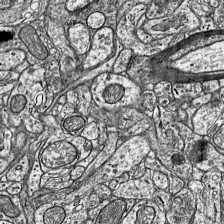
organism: Mouse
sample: Visual Cortex